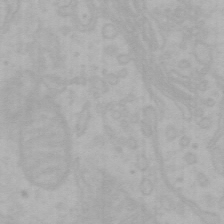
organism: Mouse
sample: Choroid plexus